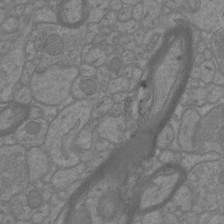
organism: Mouse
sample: Cortical neurons